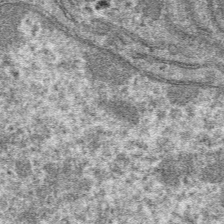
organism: Mouse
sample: Mouse hepatocytes